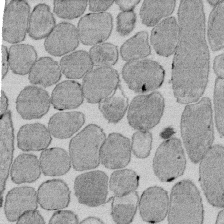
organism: E. coli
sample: Bacterial nucleoid